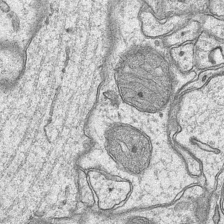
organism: Mouse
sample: CA1 Hippocampus